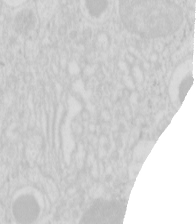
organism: Mouse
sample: Pancreas